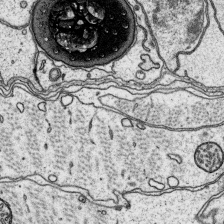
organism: Platynereis dumerilii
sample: Parapodia